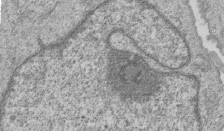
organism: Human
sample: MDA-MB-231 cells